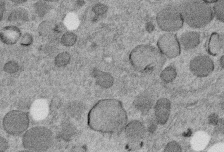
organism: C. elegans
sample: C. elegans embryo early stage